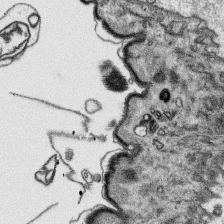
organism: Platynereis dumerilii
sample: Parapodia